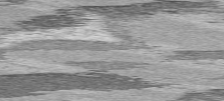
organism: C57BL Mouse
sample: Heart